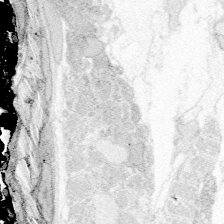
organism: Zebrafish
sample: Whole-Brain